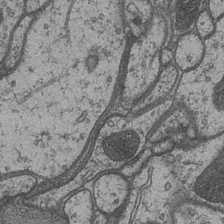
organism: Drosophila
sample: Optic medulla